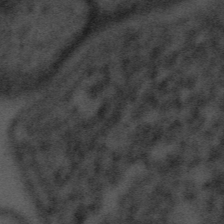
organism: Tuwongella immobilis